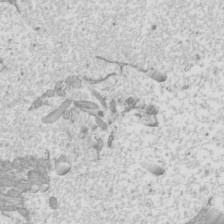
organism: Mouse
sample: Cilia; mouse epididymis